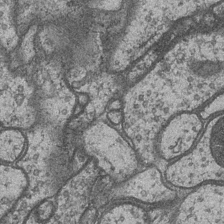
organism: Drosophila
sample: Optic medulla